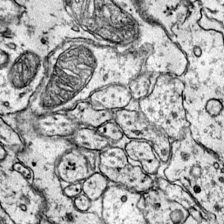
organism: Mouse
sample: Primary visual cortex